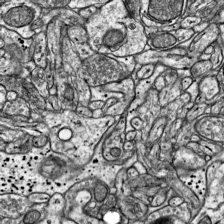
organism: Mouse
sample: Visual Cortex